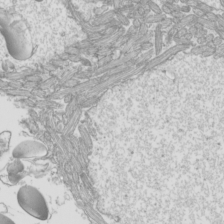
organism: Mouse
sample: Cilia; mouse epididymis